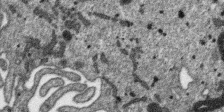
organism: Human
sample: Lung epithelial cells infected with SARS-CoV-2